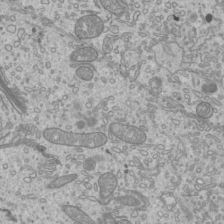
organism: Mouse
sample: Cilia; mouse epididymis